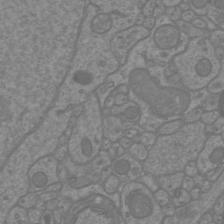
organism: Mouse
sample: Cortical neurons